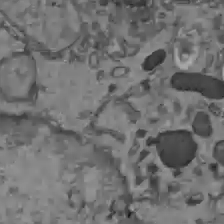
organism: C57BL Mouse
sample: Liver